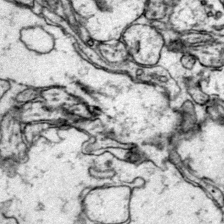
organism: Mouse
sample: Primary visual cortex